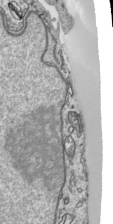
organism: Human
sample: Mitochondria in HCT116 cells